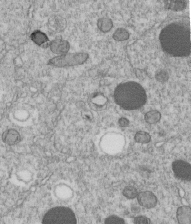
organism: C. elegans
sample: C. elegans embryo early stage